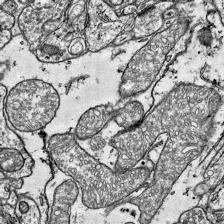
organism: Mouse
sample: Visual Cortex